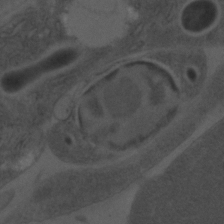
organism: C. elegans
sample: C. elegans embryo